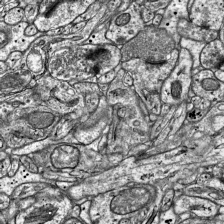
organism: Mouse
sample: Visual Cortex